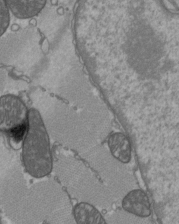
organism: C57BL Mouse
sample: Heart